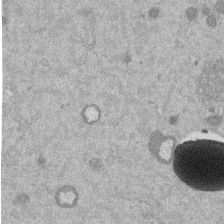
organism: Mouse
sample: Dividing mouse embryo 1 cell stage